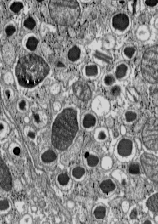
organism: C57BL Mouse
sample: Pancreatic islet